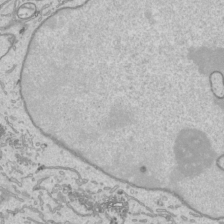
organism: Human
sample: Mitochondria in HCT116 cells